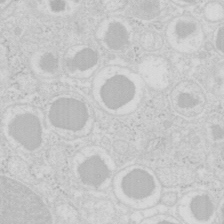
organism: Mouse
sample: Pancreas